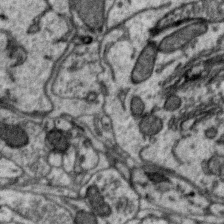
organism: Zebra finch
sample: Brain